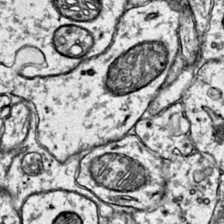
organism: Mouse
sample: Primary visual cortex